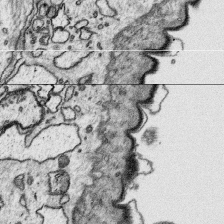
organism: Platynereis dumerilii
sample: Parapodia